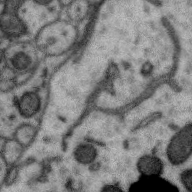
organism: Zebra finch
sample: Brain